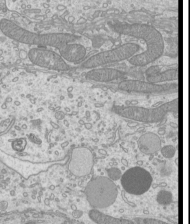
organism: Mouse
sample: Cilia; mouse epididymis